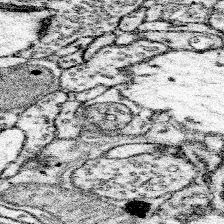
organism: Mouse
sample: Somatosensory cortex neuropil